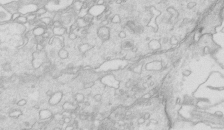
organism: Mouse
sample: Multiciliated cells